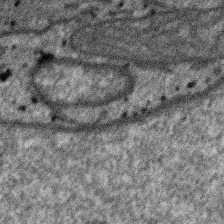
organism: Human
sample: Lung epithelial cells infected with SARS-CoV-2